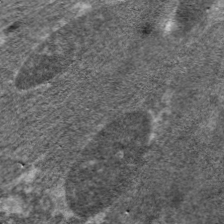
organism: C. elegans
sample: Pharynx